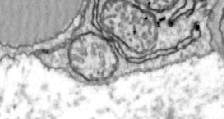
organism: Zebrafish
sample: Actinotrichia fibers